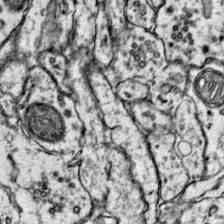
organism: Mouse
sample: Primary visual cortex